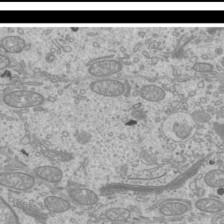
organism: Mouse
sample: Cilia; mouse epididymis